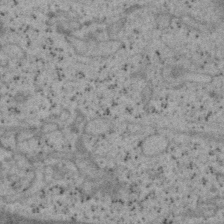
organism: Human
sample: HeLa cells